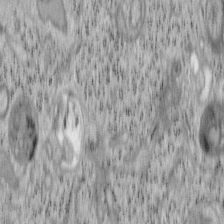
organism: Human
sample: HeLa cells